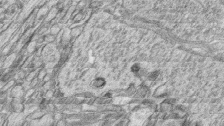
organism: Zebrafish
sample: synaptic ribbons in rod cells and cone cells